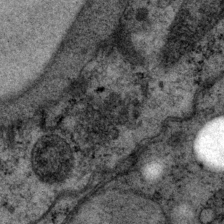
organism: P. pacificus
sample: Pharynx